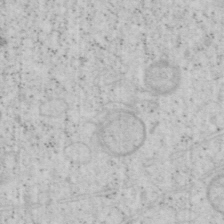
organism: Human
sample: HeLa cells